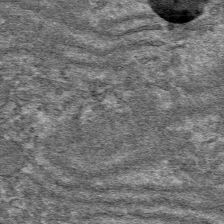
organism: Mouse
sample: Mouse hepatocytes